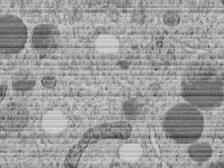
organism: C. elegans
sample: C. elegans embryo early stage